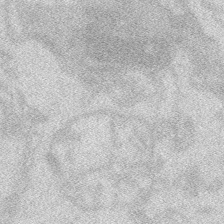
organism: Zebrafish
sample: Macrophage